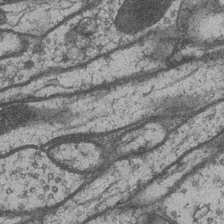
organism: Drosophila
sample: Optic medulla